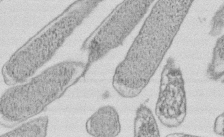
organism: E. coli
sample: Bacterial nucleoid